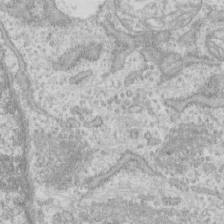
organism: Human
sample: CRL-1474